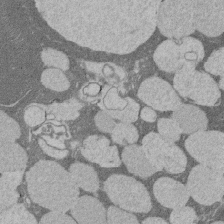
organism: Rat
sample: Salivary granule